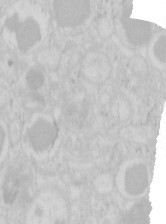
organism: Mouse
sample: Pancreas